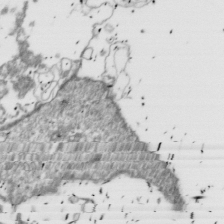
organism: Drosophila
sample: Cell division; meiosis; drosophila spermatocytes